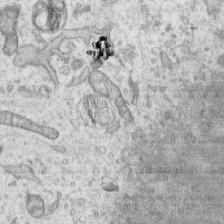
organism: Human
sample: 1205lu cells